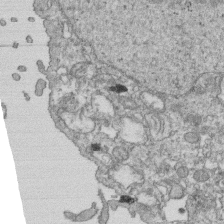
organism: Human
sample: HeLa cell HIV synapse